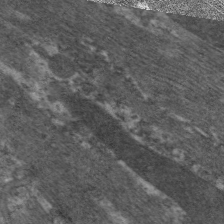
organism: C. elegans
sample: Pharynx